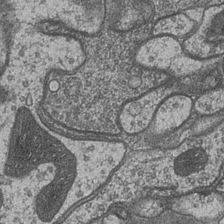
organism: Drosophila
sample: Optic medulla